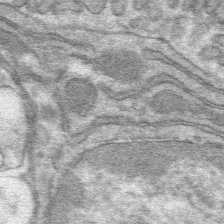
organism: Mouse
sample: Mouse hepatocytes